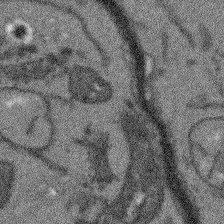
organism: Arabidopsis thaliana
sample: Root tip